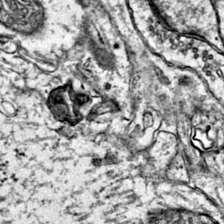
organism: Mouse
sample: Primary visual cortex